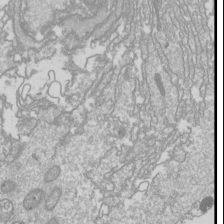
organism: Drosophila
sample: Cell division; meiosis; drosophila spermatocytes